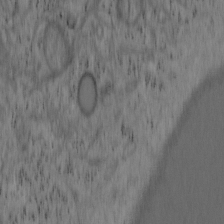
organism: Human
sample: HeLa cells